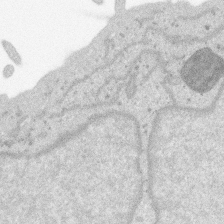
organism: Human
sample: Lung epithelial cells infected with SARS-CoV-2